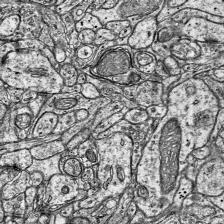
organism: Mouse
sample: Visual Cortex